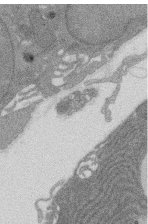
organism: Rat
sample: Salivary granule